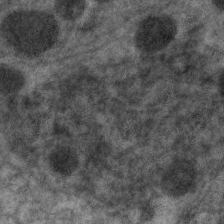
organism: C. elegans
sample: Pharynx